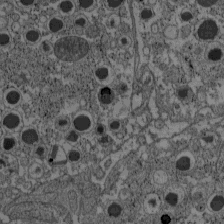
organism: C57BL Mouse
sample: Pancreatic islet